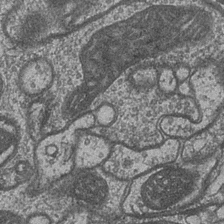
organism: Drosophila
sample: Optic medulla